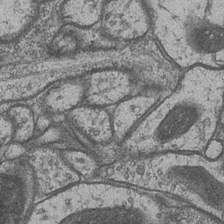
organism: Drosophila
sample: Optic medulla